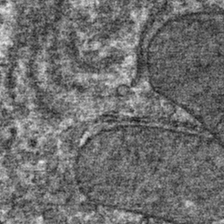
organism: Mouse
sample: Mouse hepatocytes